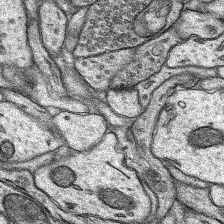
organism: Rat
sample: Hippocampus